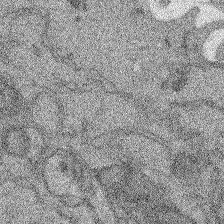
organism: Human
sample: HeLa cells